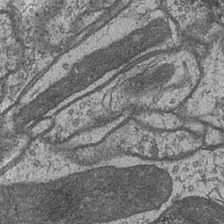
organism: Drosophila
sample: Optic medulla